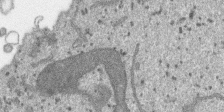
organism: Human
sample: Lung epithelial cells infected with SARS-CoV-2